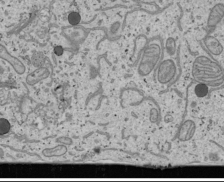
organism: Human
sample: Mitochondria in U2OS cells